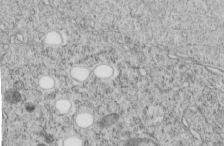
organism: C. elegans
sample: C. elegans embryo early stage